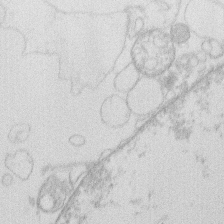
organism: Human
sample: Macrophage cells